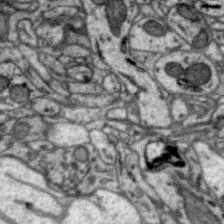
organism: Zebra finch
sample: Brain